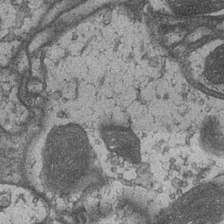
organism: Drosophila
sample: Optic medulla